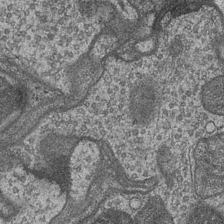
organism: Drosophila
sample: Optic medulla